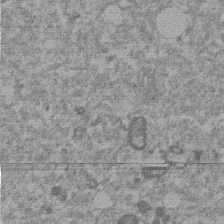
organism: Mouse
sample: Dividing mouse embryo 1 cell stage